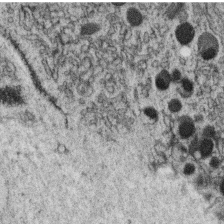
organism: C. elegans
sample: C. elegans oocyte; sperm cells